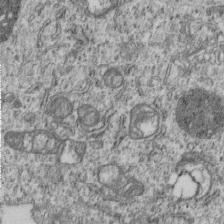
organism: Human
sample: MDA-MB-231 cells